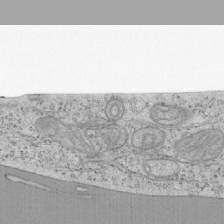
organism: Human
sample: HeLa cells